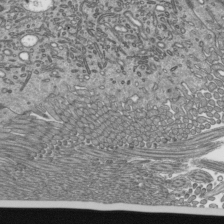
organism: Mouse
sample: Mouse epididymis efferent ductule cilia